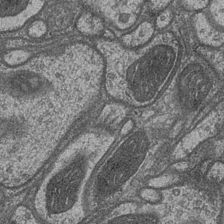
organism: Drosophila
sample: Optic medulla